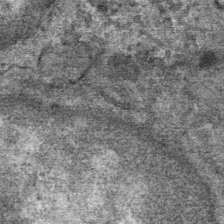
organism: Mouse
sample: Mouse Salivary gland